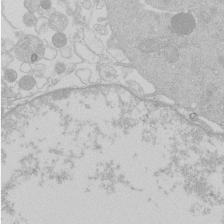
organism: Human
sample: Macrophage cells